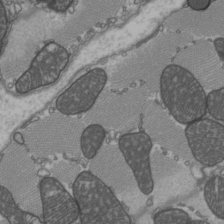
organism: C57BL Mouse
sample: Heart